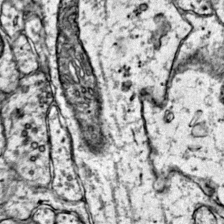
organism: Mouse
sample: Primary visual cortex